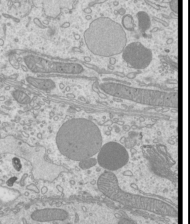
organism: Mouse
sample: Cilia; mouse epididymis